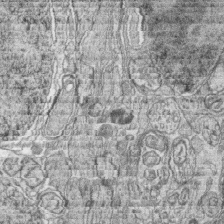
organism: Zebrafish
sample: synaptic ribbons in rod cells and cone cells